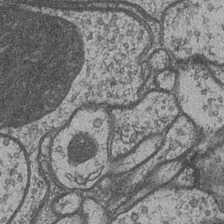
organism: Drosophila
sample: Optic medulla